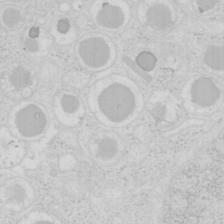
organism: Mouse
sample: Pancreas